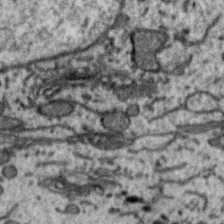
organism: Zebra finch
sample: Brain